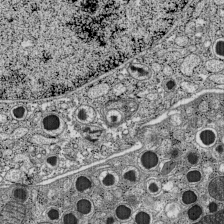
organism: C57BL Mouse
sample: Pancreatic islet